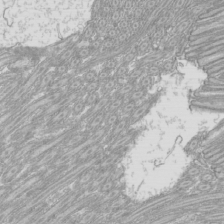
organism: Mouse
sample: Cilia; mouse epididymis